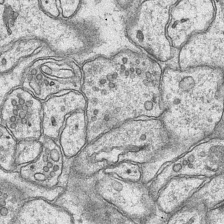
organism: Mouse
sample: CA1 Hippocampus